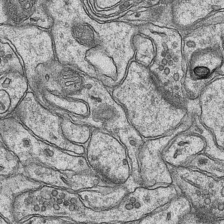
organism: Mouse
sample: CA1 Hippocampus